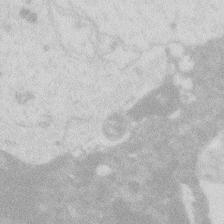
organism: Zebrafish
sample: Macrophage